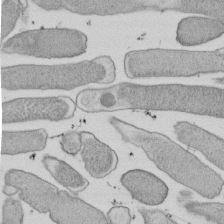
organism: E. coli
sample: Bacterial nucleoid